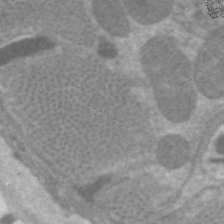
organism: C. elegans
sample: Pharynx